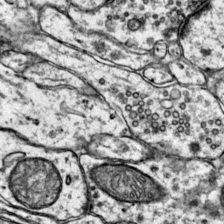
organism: Mouse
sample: Primary visual cortex